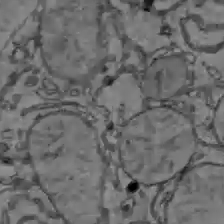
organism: C57BL Mouse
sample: Liver